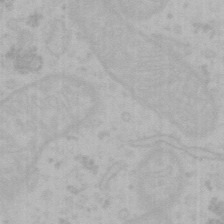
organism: Mouse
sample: Choroid plexus